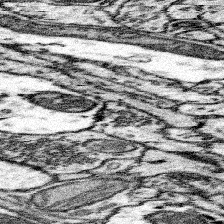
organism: Mouse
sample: Somatosensory cortex neuropil